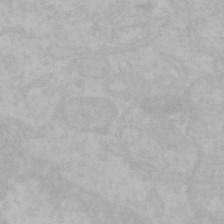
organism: Mouse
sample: Choroid plexus